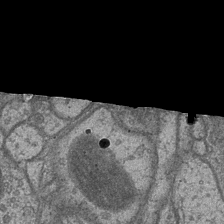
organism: Drosophila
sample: Optic medulla